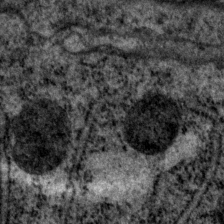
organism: P. pacificus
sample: Pharynx